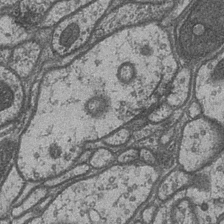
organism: Drosophila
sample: Optic medulla